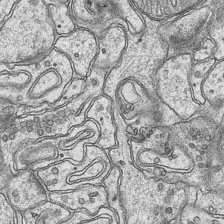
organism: Mouse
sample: CA1 Hippocampus